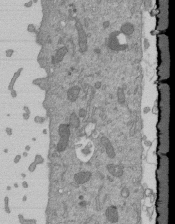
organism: Mouse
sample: ED-1 cell nuclei; centrioles